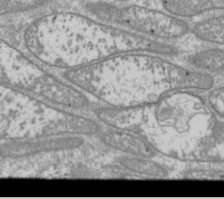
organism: Drosophila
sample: Cell division; meiosis; drosophila spermatocytes